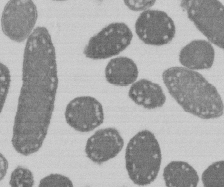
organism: E. coli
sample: Bacterial nucleoid